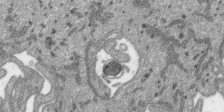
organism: Human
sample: Lung epithelial cells infected with SARS-CoV-2